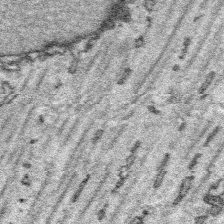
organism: Platynereis dumerilii